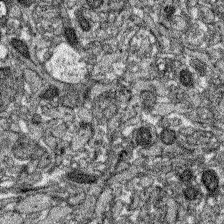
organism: Zebrafish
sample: Larval olfactory bulb